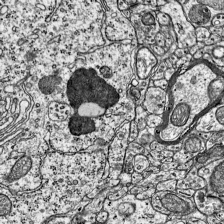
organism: Mouse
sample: Visual Cortex